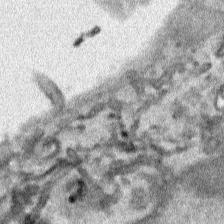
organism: Human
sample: Mitochondria in HCT116 cells